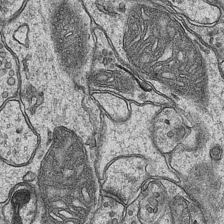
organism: Mouse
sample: CA1 Hippocampus